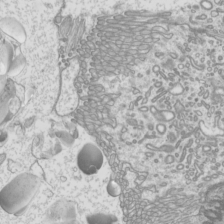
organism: Mouse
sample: Cilia; mouse epididymis